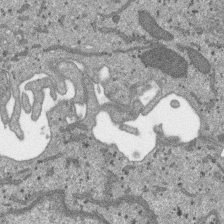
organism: Human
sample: Lung epithelial cells infected with SARS-CoV-2